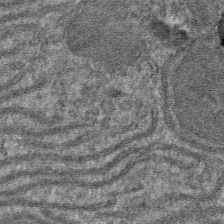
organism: Mouse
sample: Mouse hepatocytes